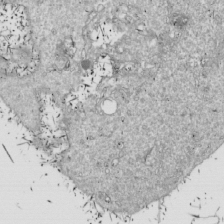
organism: Drosophila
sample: Cell division; meiosis; drosophila spermatocytes